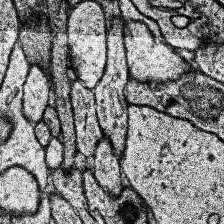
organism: Human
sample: Temporal Lobe